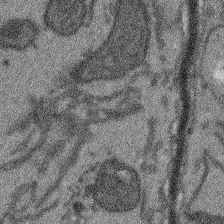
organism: Arabidopsis thaliana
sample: Root tip